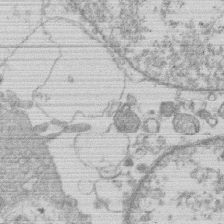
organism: Human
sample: Macrophage cells